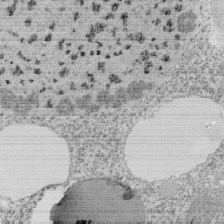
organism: Tetrahymena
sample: Cilia in tetrahymena